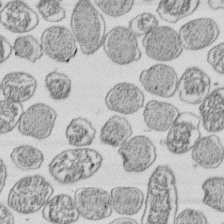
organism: E. coli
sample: Bacterial nucleoid